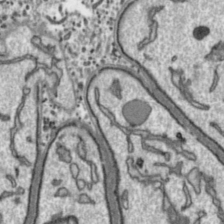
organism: Toxoplasma gondii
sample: Parasites in a vacuole inside a host cell